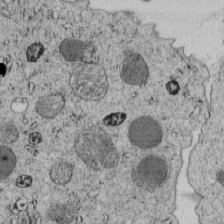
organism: C. elegans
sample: C. elegans embryo early stage